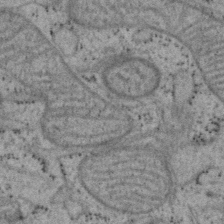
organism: Human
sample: HeLa cells